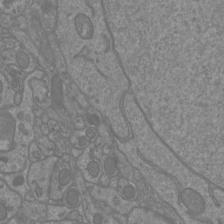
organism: Mouse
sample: Cortical neurons